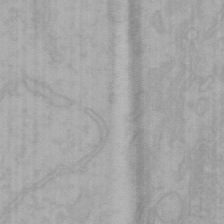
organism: Mouse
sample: Choroid plexus